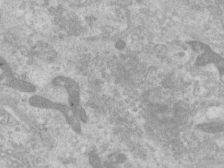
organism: Human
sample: Centriole in RPE cells